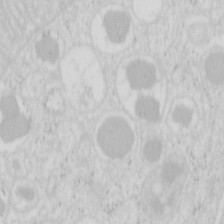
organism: Mouse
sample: Pancreas